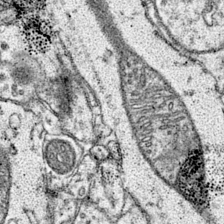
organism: Mouse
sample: Primary visual cortex